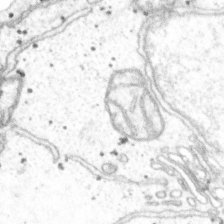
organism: Human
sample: HeLa cells